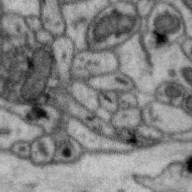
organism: Zebra finch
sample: Brain